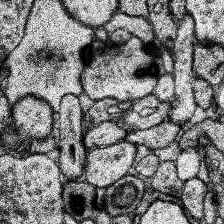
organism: Human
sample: Temporal Lobe